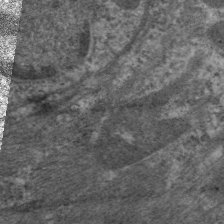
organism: C. elegans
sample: Pharynx